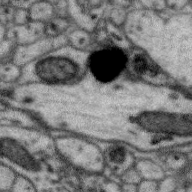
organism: Zebra finch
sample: Brain